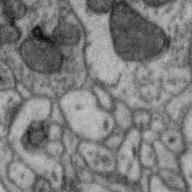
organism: Zebra finch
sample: Brain